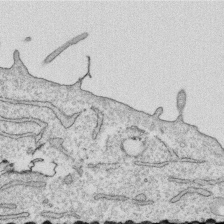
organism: Human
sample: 1205lu cells